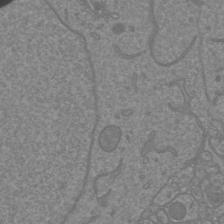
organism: Mouse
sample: Cortical neurons